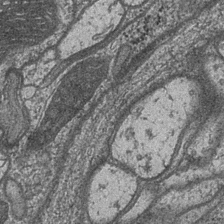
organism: Drosophila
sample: Optic medulla